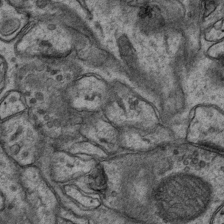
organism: Mouse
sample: CA1 Hippocampus